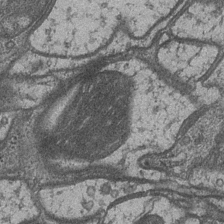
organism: Drosophila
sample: Optic medulla